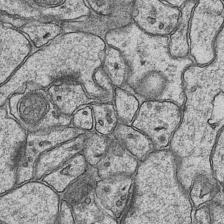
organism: Mouse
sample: CA1 Hippocampus